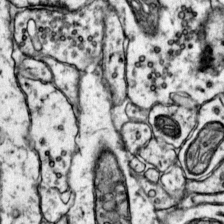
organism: Mouse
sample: Primary visual cortex